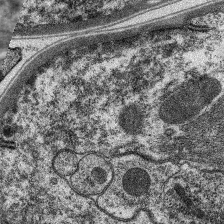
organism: C. elegans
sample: Pharynx